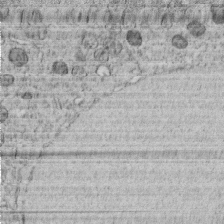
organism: C. elegans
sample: C. elegans embryo early stage